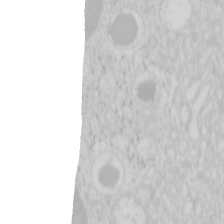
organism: Mouse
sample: Pancreas